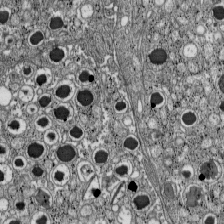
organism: C57BL Mouse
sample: Pancreatic islet